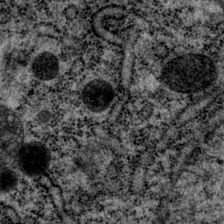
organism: P. pacificus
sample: Pharynx